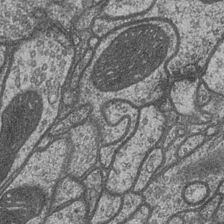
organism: Drosophila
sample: Optic medulla